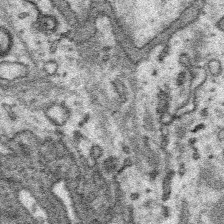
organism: Platynereis dumerilii